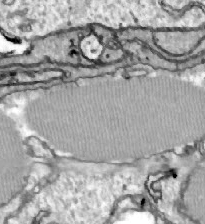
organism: Zebrafish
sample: Actinotrichia fibers